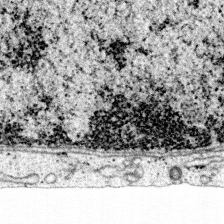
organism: Human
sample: HeLa cells